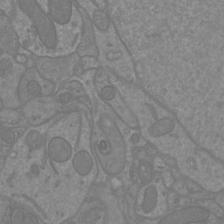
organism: Mouse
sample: Cortical neurons